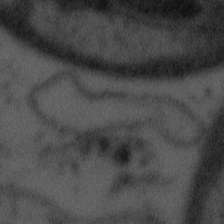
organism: Tuwongella immobilis